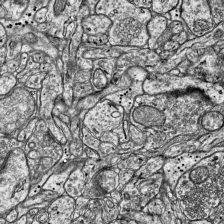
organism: Mouse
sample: Visual Cortex